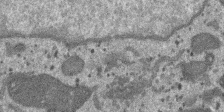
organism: Human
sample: Lung epithelial cells infected with SARS-CoV-2